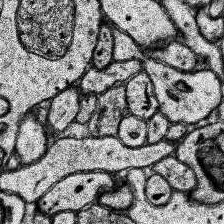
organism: Human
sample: Temporal Lobe